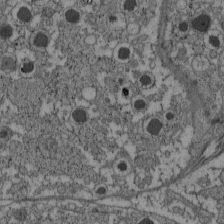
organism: C57BL Mouse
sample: Pancreatic islet